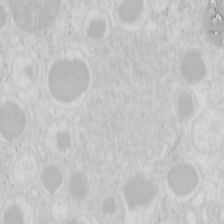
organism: Mouse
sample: Pancreas